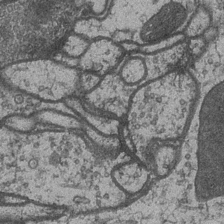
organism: Drosophila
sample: Optic medulla